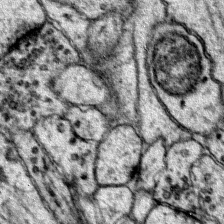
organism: Mouse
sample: Primary visual cortex